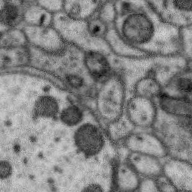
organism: Zebra finch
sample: Brain